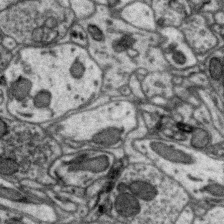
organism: Zebra finch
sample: Brain